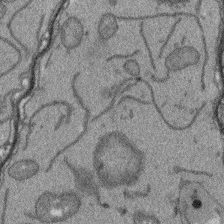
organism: Arabidopsis thaliana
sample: Root tip